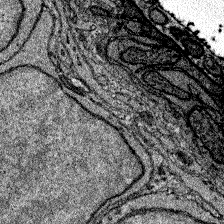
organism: Zebrafish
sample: Larval olfactory bulb